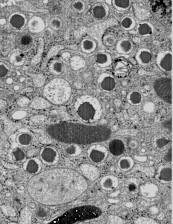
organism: C57BL Mouse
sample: Pancreatic islet